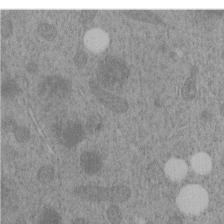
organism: C. elegans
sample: C. elegans embryo early stage